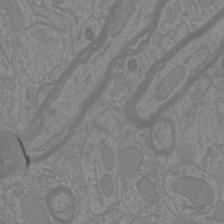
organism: Mouse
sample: Cortical neurons